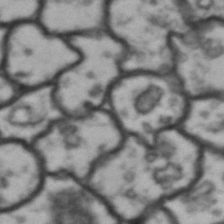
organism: Drosophila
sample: Brain